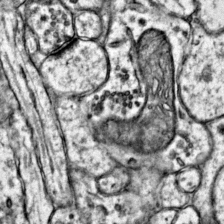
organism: Mouse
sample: Primary visual cortex